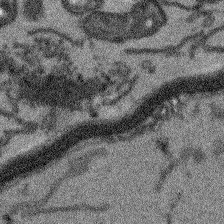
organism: Arabidopsis thaliana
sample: Root tip